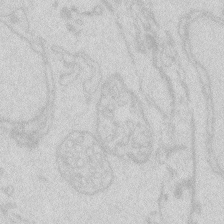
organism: Zebrafish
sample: Macrophage